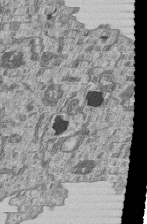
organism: Human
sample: MDA-MB-231 cells